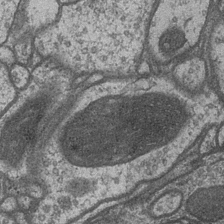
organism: Drosophila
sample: Optic medulla